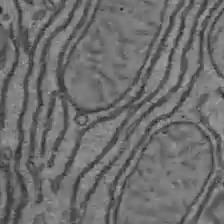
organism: C57BL Mouse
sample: Liver